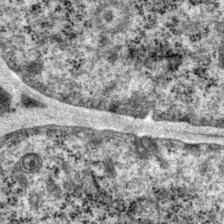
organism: P. pacificus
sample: Pharynx